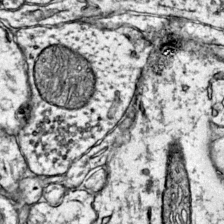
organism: Mouse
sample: Primary visual cortex